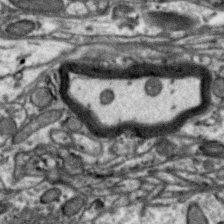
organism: Zebra finch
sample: Brain